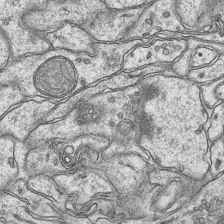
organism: Mouse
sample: CA1 Hippocampus